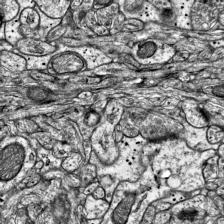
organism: Mouse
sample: Visual Cortex